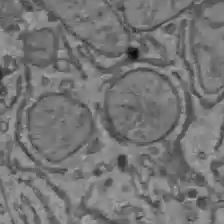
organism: C57BL Mouse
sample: Liver